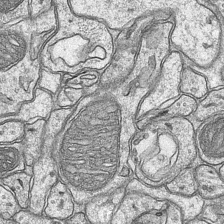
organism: Mouse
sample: CA1 Hippocampus